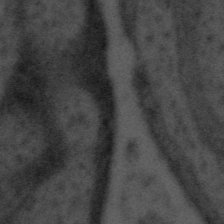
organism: Tuwongella immobilis